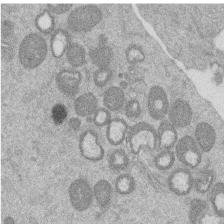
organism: Mouse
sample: Dividing mouse embryo 1 cell stage